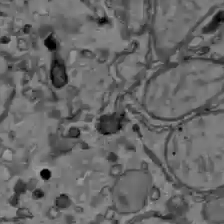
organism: C57BL Mouse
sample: Liver